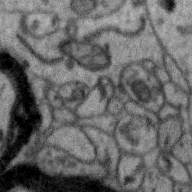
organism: Zebra finch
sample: Brain